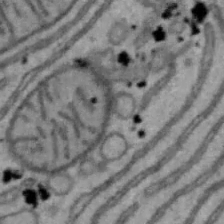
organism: Mouse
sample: Liver